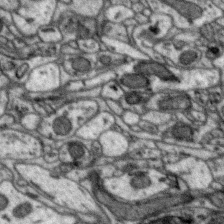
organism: Zebra finch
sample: Brain